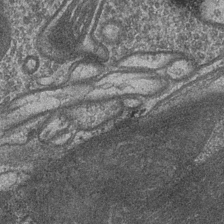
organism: Drosophila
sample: Optic medulla